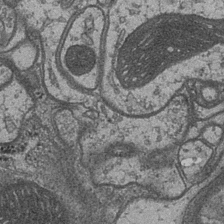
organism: Drosophila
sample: Optic medulla